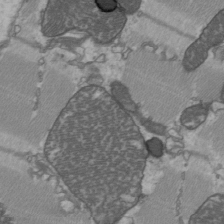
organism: C57BL Mouse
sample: Heart